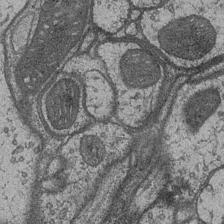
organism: Drosophila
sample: Optic medulla